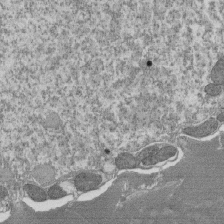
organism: Tetrahymena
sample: Cilia in tetrahymena